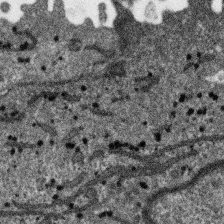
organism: Human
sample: Lung epithelial cells infected with SARS-CoV-2